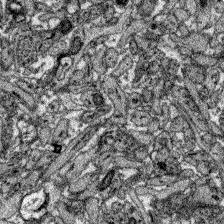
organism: Zebrafish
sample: Larval olfactory bulb